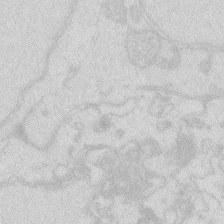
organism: Zebrafish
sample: Macrophage